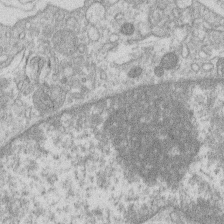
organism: Human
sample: Macrophage cells